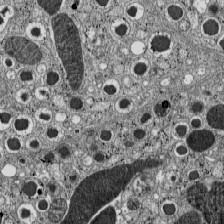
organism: C57BL Mouse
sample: Pancreatic islet